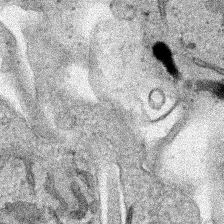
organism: Human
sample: Mitochondria in HCT116 cells